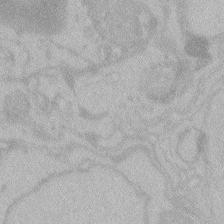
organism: Zebrafish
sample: Macrophage infected with Toxoplasma gondii